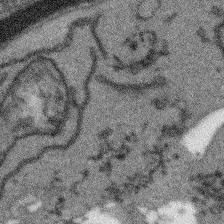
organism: Arabidopsis thaliana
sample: Root tip